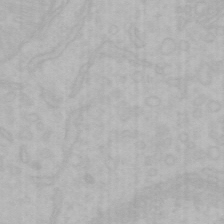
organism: Mouse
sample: Choroid plexus